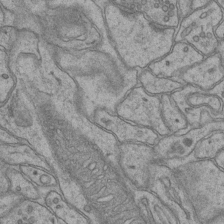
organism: Mouse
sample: CA1 Hippocampus